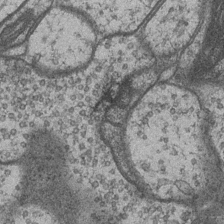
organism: Drosophila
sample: Optic medulla